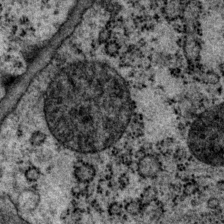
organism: P. pacificus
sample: Pharynx